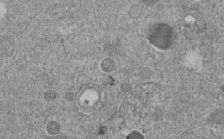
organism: C. elegans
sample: C. elegans embryo early stage